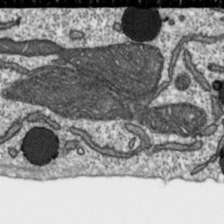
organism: Toxoplasma gondii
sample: Parasites in a vacuole inside a host cell